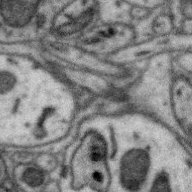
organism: Zebra finch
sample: Brain